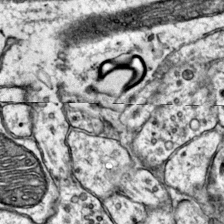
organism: Mouse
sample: Primary visual cortex